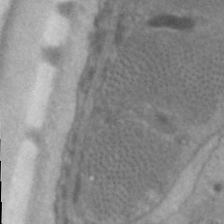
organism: C. elegans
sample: Pharynx